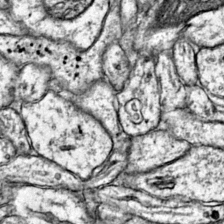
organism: Mouse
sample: Primary visual cortex